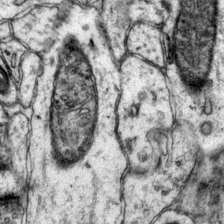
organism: Mouse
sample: Primary visual cortex